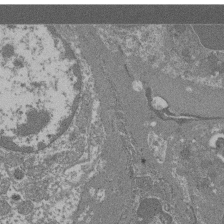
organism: Mouse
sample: Glomerulus